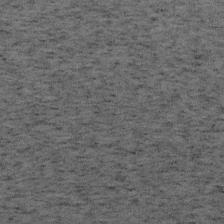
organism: Mouse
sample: OT-I killer T cells with ID8 ovarian cancer cells